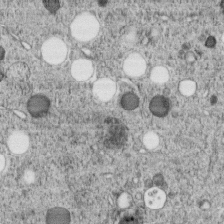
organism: C. elegans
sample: C. elegans embryo early stage